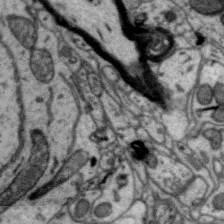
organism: Zebra finch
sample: Brain